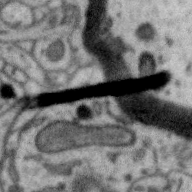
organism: Zebra finch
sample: Brain